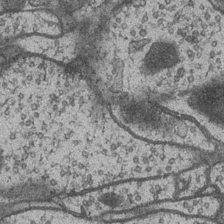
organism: Drosophila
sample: Optic medulla